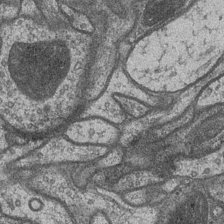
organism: Drosophila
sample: Optic medulla